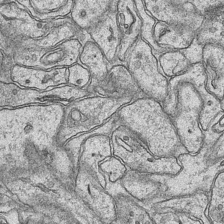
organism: Mouse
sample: CA1 Hippocampus